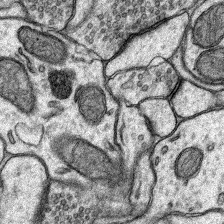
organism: Rat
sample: Hippocampus